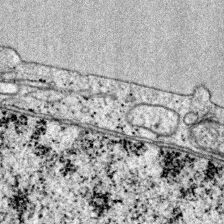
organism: Human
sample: HeLa cells